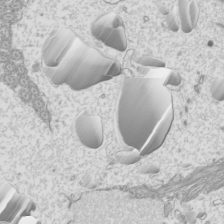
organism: Mouse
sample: Cilia; mouse epididymis